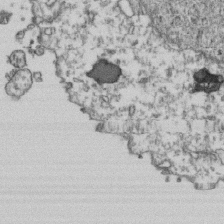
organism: Human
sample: Activated Jurkat CD4+ T cells